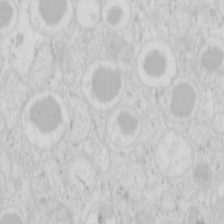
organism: Mouse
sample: Pancreas